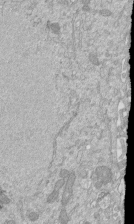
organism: Mouse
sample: ED-1 cell nuclei; centrioles